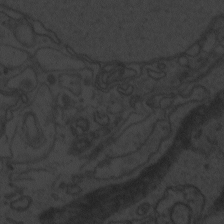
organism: Zebrafish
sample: Macrophage infected with Toxoplasma gondii